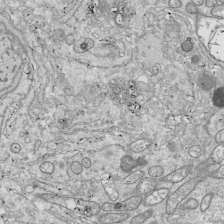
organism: Drosophila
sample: Cell division; meiosis; drosophila spermatocytes